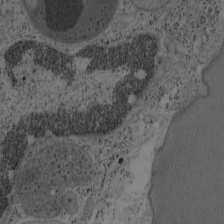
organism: Mouse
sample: OT-I killer T cells with ID8 ovarian cancer cells